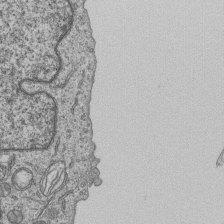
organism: Human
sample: MDA-MB-231 cells